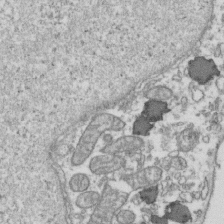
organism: Human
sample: Activated Jurkat CD4+ T cells